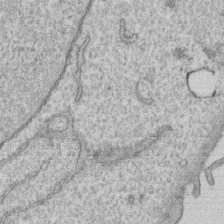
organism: Human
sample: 1205lu cells